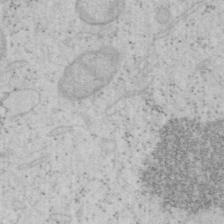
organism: Human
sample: HeLa cells